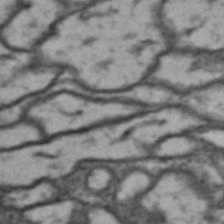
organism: Drosophila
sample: Brain